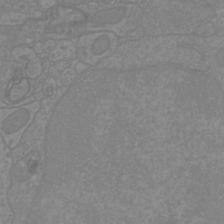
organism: Mouse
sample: Cortical neurons